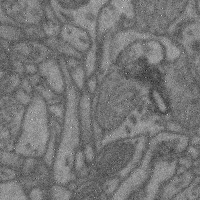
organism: Mouse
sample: Cerebral cortex